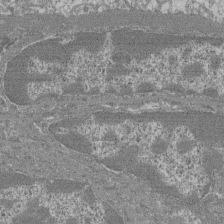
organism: Mouse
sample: Glomerulus